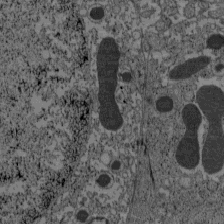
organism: C57BL Mouse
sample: Pancreatic islet